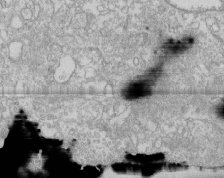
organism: Human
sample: CRL-1474